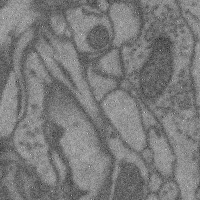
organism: Mouse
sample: Cerebral cortex